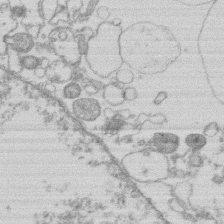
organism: Human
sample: Macrophage cells